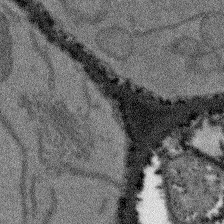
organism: Arabidopsis thaliana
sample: Root tip